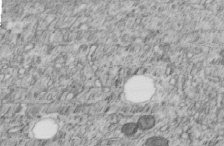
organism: C. elegans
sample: C. elegans embryo early stage